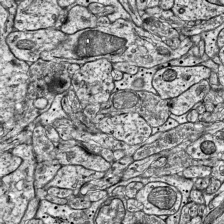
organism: Mouse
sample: Visual Cortex